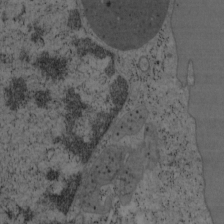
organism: Mouse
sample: OT-I killer T cells with ID8 ovarian cancer cells